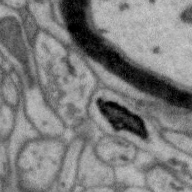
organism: Zebra finch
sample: Brain